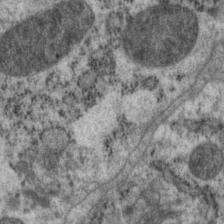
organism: P. pacificus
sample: Pharynx